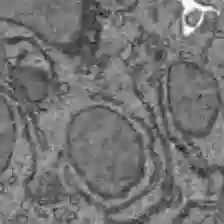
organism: C57BL Mouse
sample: Liver